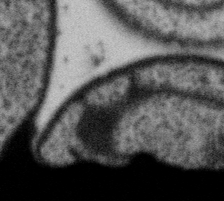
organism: Gemmata obscuriglobus